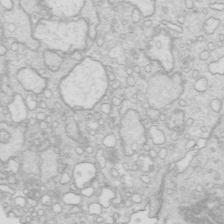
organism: Mouse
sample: Multiciliated cells